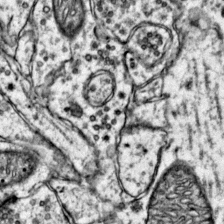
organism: Mouse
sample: Primary visual cortex